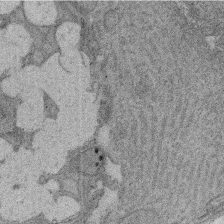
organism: Rat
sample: Salivary granule